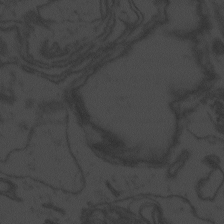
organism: Zebrafish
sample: Macrophage infected with Toxoplasma gondii